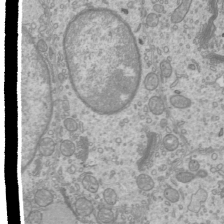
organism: Mouse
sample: Cilia; mouse epididymis